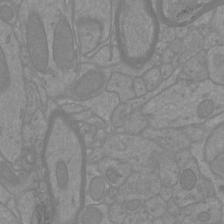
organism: Mouse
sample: Cortical neurons